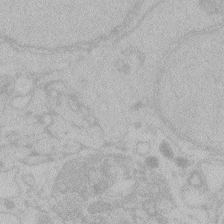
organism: Zebrafish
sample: Macrophage infected with Toxoplasma gondii